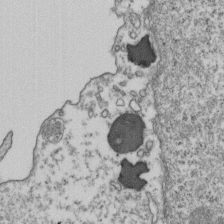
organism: Human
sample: Activated Jurkat CD4+ T cells